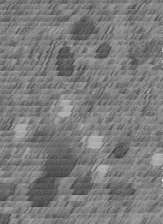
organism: C. elegans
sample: C. elegans embryo early stage